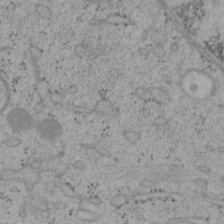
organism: Human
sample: HeLa cells